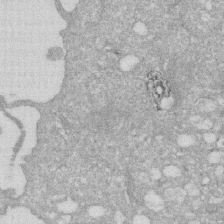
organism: Human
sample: HIV infected U937 cells